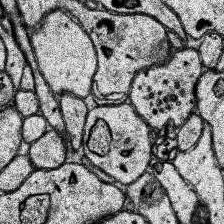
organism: Human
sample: Temporal Lobe